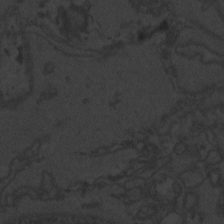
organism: Zebrafish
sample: Macrophage infected with Toxoplasma gondii